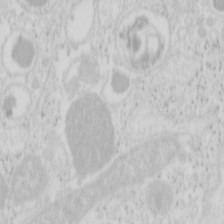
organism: Mouse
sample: Pancreas